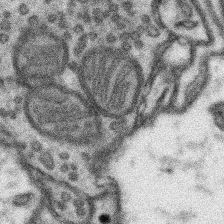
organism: Mouse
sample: Somatosensory cortex neuropil